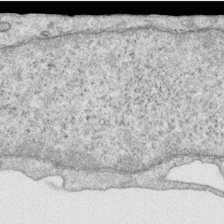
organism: Human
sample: Centriole in RPE cells